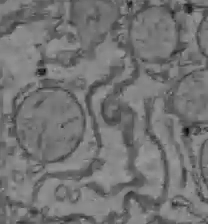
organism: C57BL Mouse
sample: Liver